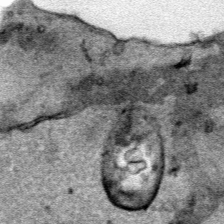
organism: Human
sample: Mitochondria in HCT116 cells